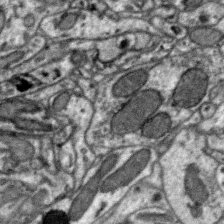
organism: Zebra finch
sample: Brain